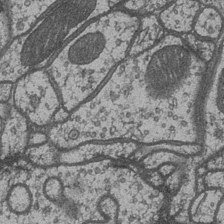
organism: Drosophila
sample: Optic medulla